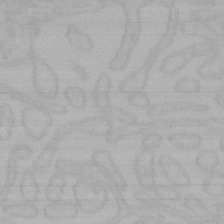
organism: Mouse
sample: Choroid plexus